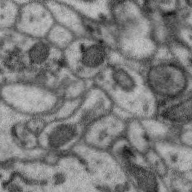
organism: Zebra finch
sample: Brain